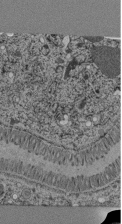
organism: C. elegans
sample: C. elegans pharynx